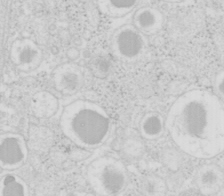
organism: Mouse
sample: Pancreas